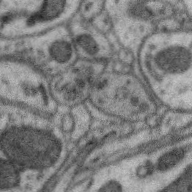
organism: Zebra finch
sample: Brain